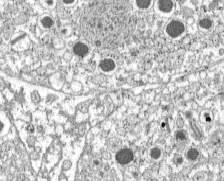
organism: C57BL Mouse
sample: Pancreatic islet